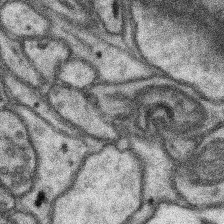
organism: Mouse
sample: Somatosensory cortex neuropil